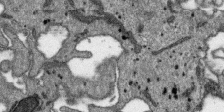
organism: Human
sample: Lung epithelial cells, uninfected (mock) control